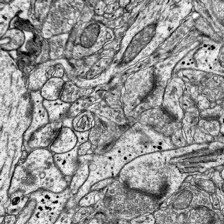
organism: Mouse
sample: Visual Cortex